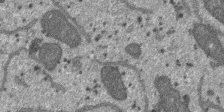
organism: Human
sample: Lung epithelial cells infected with SARS-CoV-2